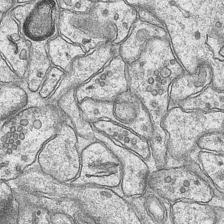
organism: Mouse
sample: CA1 Hippocampus